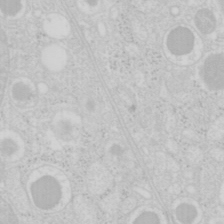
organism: Mouse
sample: Pancreas